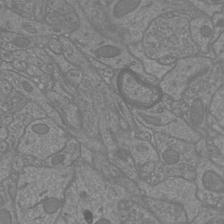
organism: Mouse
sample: Cortical neurons